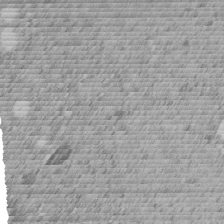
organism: C. elegans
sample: C. elegans embryo early stage